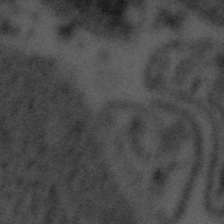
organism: Tuwongella immobilis